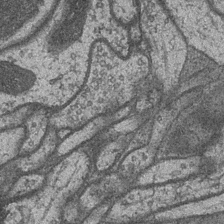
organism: Drosophila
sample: Optic medulla